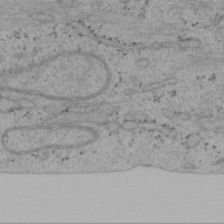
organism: Human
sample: HeLa cells